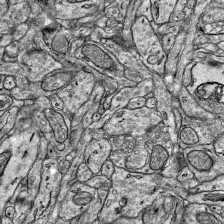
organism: Mouse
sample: Visual Cortex